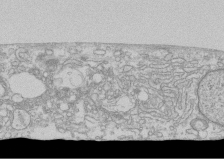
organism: Human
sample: CRL-1474